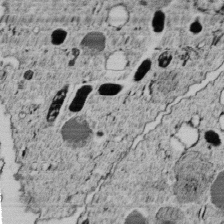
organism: C. elegans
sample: C. elegans embryo early stage